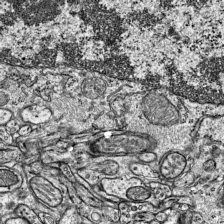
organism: Mouse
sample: Visual Cortex